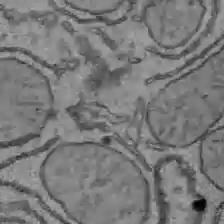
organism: C57BL Mouse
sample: Liver